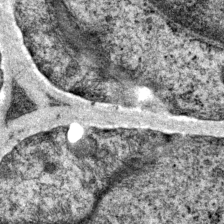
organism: P. pacificus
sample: Pharynx